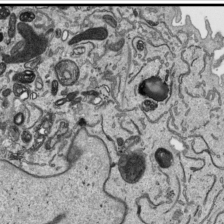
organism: Human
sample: Mitochondria in HCT116 cells